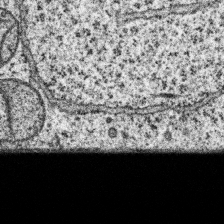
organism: Human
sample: HeLa cells